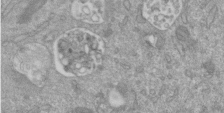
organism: Mouse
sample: ED-1 cell nuclei; centrioles